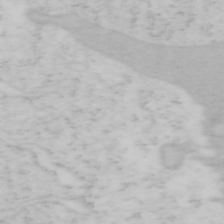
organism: Mouse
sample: OT-I killer T cells with ID8 ovarian cancer cells